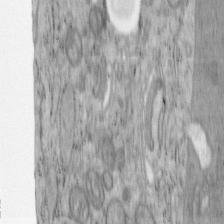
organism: Human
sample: HeLa cells